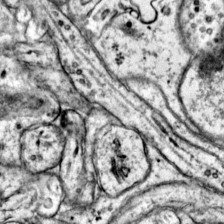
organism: Mouse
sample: Primary visual cortex